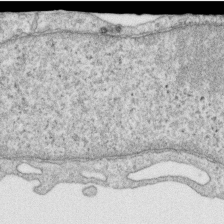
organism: Human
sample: Centriole in RPE cells